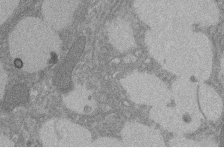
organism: Rat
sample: Salivary granule